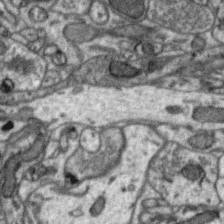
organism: Zebra finch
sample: Brain